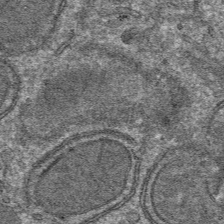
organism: Mouse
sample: Mouse hepatocytes